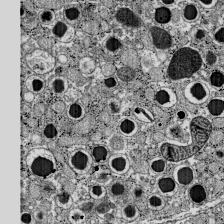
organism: C57BL Mouse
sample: Pancreatic islet